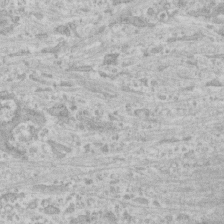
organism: Human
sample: CRL-1474